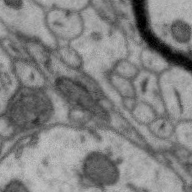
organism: Zebra finch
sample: Brain